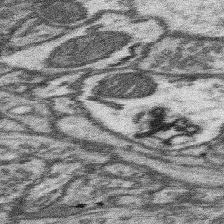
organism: Mouse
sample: Somatosensory cortex neuropil